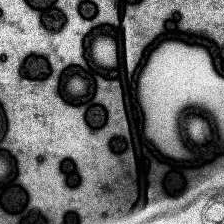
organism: Human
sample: Temporal Lobe